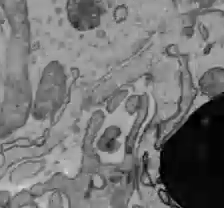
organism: C57BL Mouse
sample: Liver